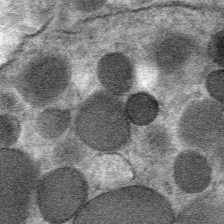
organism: Mouse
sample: Mouse Salivary gland